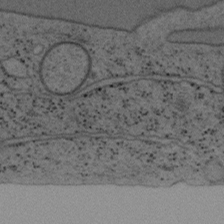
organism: Human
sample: HeLa cells